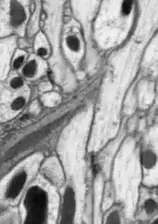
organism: Drosophila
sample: Optic lobe